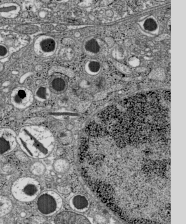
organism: C57BL Mouse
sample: Pancreatic islet